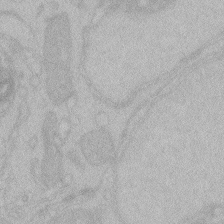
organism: Zebrafish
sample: Macrophage infected with Toxoplasma gondii